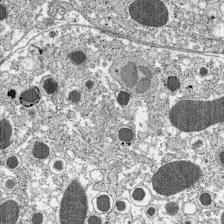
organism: C57BL Mouse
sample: Pancreatic islet